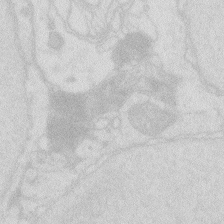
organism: Zebrafish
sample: Macrophage